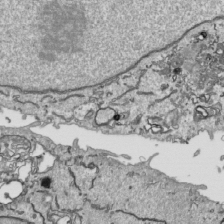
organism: Human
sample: Mitochondria in HCT116 cells